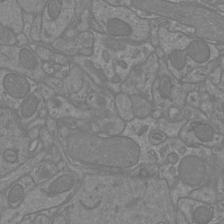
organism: Mouse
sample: Cortical neurons